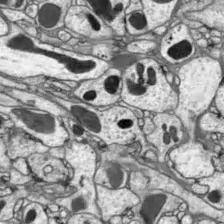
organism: Drosophila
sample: Optic lobe